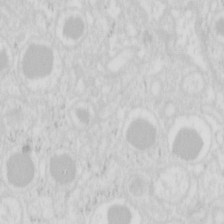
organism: Mouse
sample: Pancreas